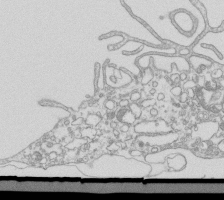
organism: Mouse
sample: Macrophages